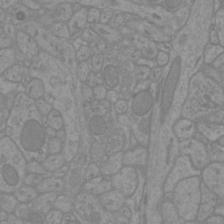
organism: Mouse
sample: Cortical neurons